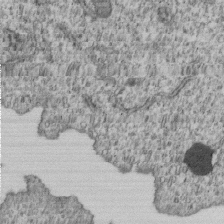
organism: Human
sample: MDA-MB-231 cells